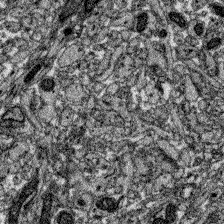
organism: Zebrafish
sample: Larval olfactory bulb